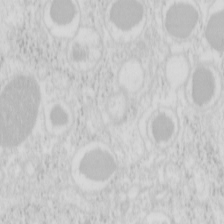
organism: Mouse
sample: Pancreas